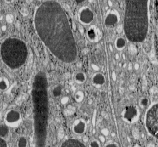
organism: C57BL Mouse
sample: Pancreatic islet